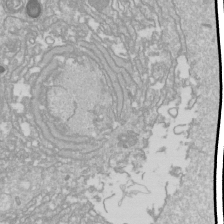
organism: Drosophila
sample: Cell division; meiosis; drosophila spermatocytes